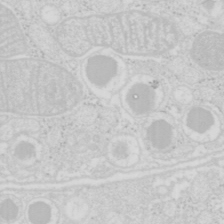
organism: Mouse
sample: Pancreas